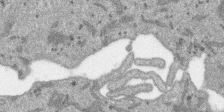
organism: Human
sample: Lung epithelial cells infected with SARS-CoV-2